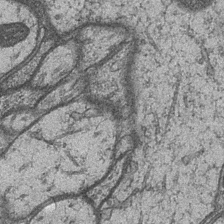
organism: Drosophila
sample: Optic medulla